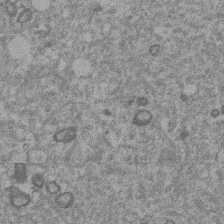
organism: Mouse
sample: Dividing mouse embryo 1 cell stage